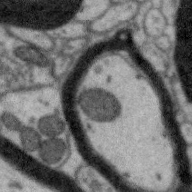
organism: Zebra finch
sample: Brain